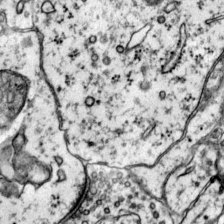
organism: Mouse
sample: Primary visual cortex